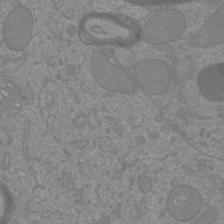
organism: Mouse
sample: Cortical neurons